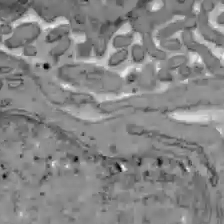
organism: C57BL Mouse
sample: Liver